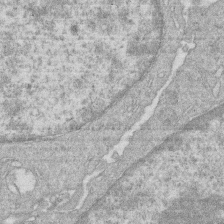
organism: Human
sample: Macrophage cells